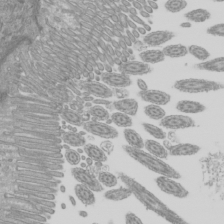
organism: Mouse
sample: Cilia; mouse epididymis